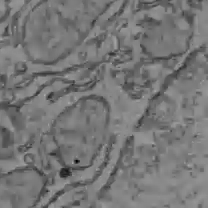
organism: C57BL Mouse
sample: Liver